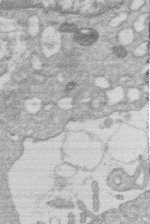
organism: Human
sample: Macrophage cells